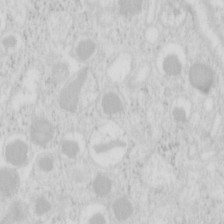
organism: Mouse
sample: Pancreas